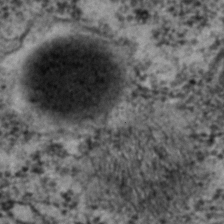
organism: C. elegans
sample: C. elegans embryo